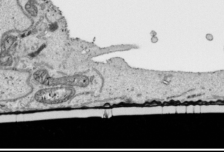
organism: Human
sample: Mitochondria in HCT116 cells